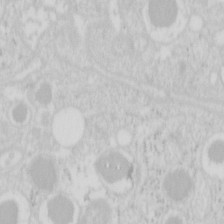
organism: Mouse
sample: Pancreas